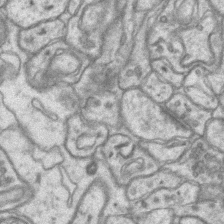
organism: Mouse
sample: CA1 Hippocampus